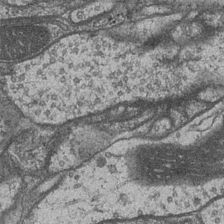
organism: Drosophila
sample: Optic medulla